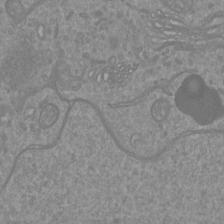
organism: Mouse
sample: Cortical neurons